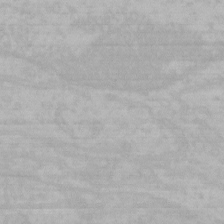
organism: Mouse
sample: Choroid plexus